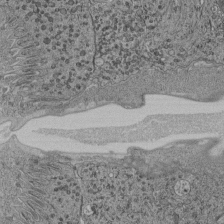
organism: C. elegans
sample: C. elegans pharynx